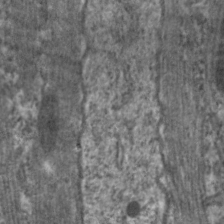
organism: C. elegans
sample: Pharynx